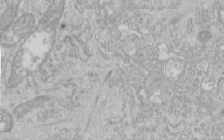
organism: Human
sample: Centriole in RPE cells